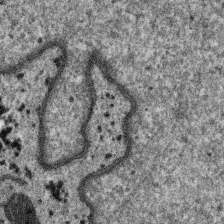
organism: Human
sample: Lung epithelial cells infected with SARS-CoV-2